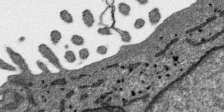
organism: Human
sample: Lung epithelial cells, uninfected (mock) control